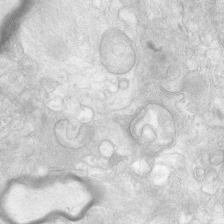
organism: Human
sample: Neocortex